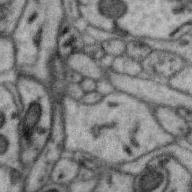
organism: Zebra finch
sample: Brain